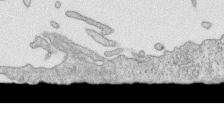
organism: Human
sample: HeLa cell HIV synapse